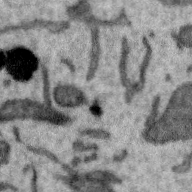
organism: Zebra finch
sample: Brain